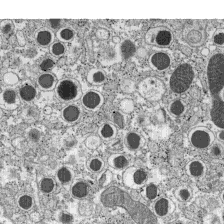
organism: C57BL Mouse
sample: Pancreatic islet